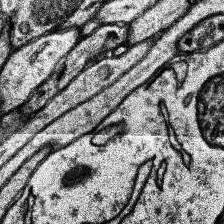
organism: Human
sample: Temporal Lobe